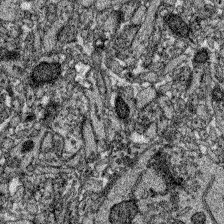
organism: Zebrafish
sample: Larval olfactory bulb